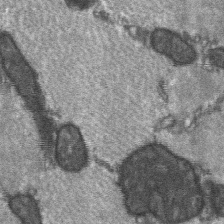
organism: C57BL Mouse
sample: Soleus